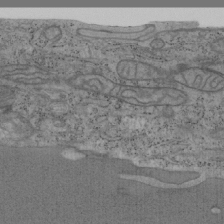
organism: Human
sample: HeLa cells